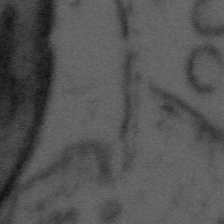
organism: Tuwongella immobilis